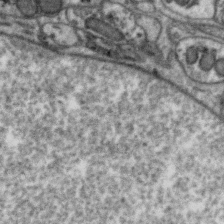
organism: Zebra finch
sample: Brain